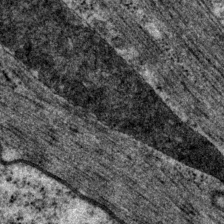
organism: P. pacificus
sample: Pharynx